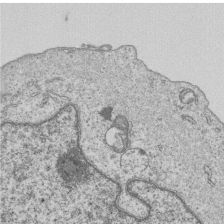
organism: Human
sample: MDA-MB-231 cells